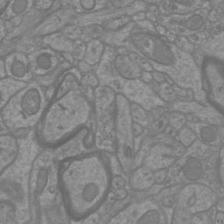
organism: Mouse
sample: Cortical neurons